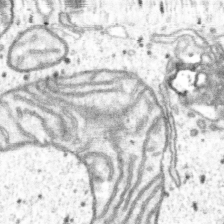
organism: Human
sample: HeLa cells